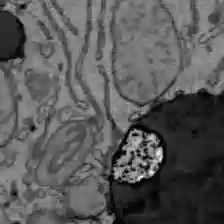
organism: C57BL Mouse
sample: Liver